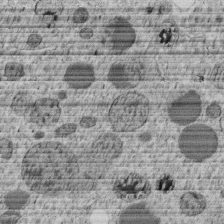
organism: C. elegans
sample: C. elegans embryo early stage